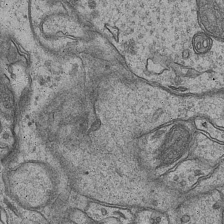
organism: Mouse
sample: CA1 Hippocampus